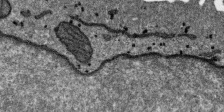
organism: Human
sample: Lung epithelial cells, uninfected (mock) control